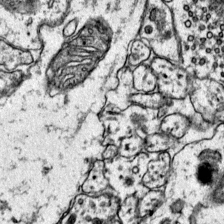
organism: Mouse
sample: Primary visual cortex